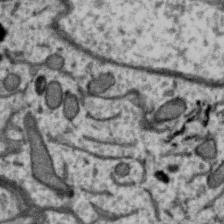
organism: Zebra finch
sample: Brain